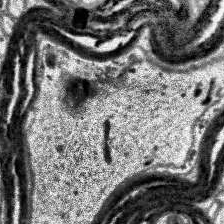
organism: Human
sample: Temporal Lobe